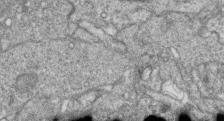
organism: Zebrafish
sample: Cilia; retinal pigment epithelium